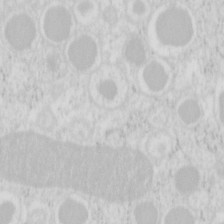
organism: Mouse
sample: Pancreas